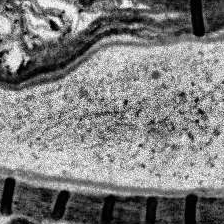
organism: Human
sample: Temporal Lobe